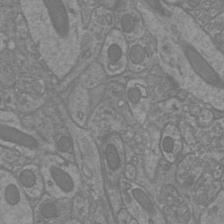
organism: Mouse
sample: Cortical neurons